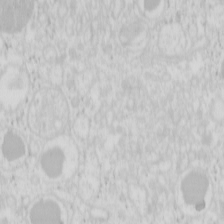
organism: Mouse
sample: Pancreas